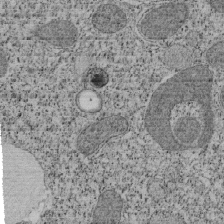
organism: Tetrahymena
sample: Cilia in tetrahymena